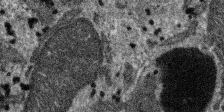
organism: Human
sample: Lung epithelial cells infected with SARS-CoV-2